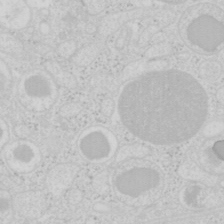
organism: Mouse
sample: Pancreas